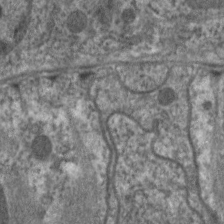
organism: C. elegans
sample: Pharynx